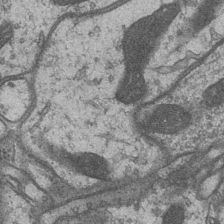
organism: Drosophila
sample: Optic medulla